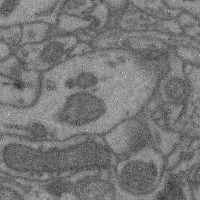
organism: Mouse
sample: Cerebral cortex